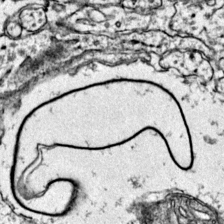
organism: Mouse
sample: Primary visual cortex